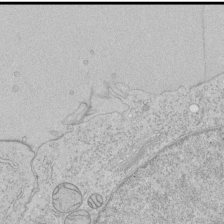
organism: Human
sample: Mitochondria in HCT116 cells